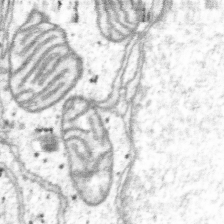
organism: Human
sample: HeLa cells